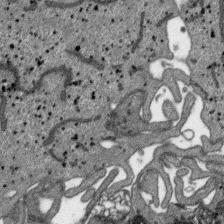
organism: Human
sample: Lung epithelial cells, uninfected (mock) control